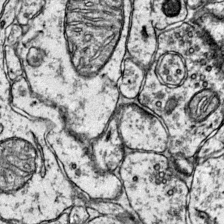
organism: Mouse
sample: Primary visual cortex